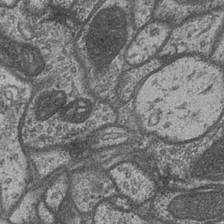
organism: Drosophila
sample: Optic medulla